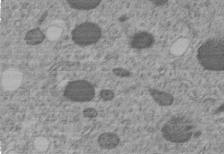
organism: C. elegans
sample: C. elegans embryo early stage